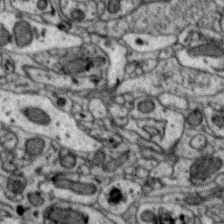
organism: Zebra finch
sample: Brain